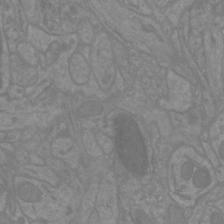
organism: Mouse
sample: Cortical neurons